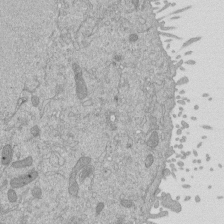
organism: Mouse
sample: ED-1 cell nuclei; centrioles